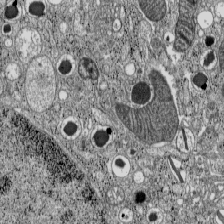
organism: C57BL Mouse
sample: Pancreatic islet